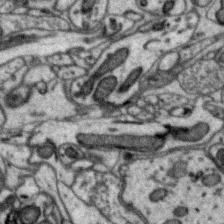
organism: Zebra finch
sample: Brain